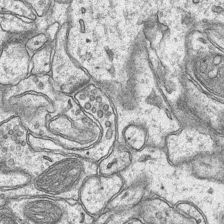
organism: Mouse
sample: CA1 Hippocampus